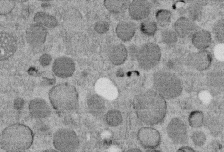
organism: C. elegans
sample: C. elegans embryo early stage